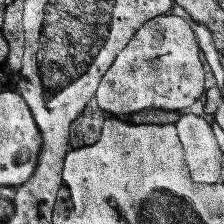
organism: Human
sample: Temporal Lobe